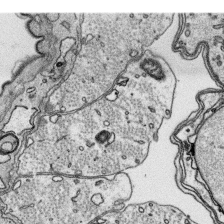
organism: Platynereis dumerilii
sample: Parapodia